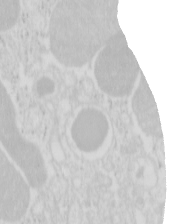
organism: Mouse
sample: Pancreas